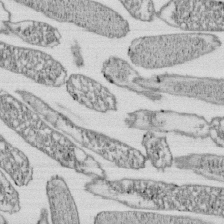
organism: E. coli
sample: Bacterial nucleoid